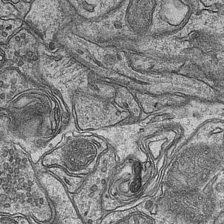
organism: Mouse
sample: CA1 Hippocampus